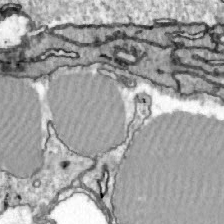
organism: Zebrafish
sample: Actinotrichia fibers